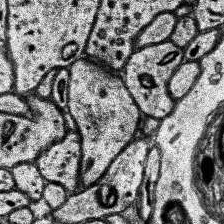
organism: Human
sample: Temporal Lobe